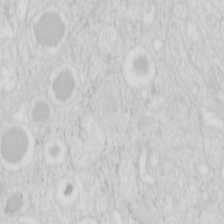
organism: Mouse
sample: Pancreas